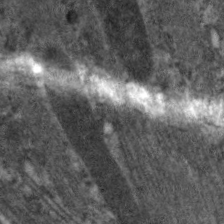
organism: C. elegans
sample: Pharynx